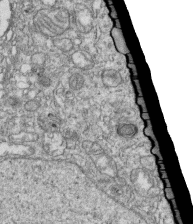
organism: Human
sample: HeLa cell HIV synapse